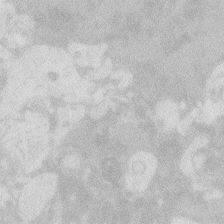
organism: Zebrafish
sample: Macrophage